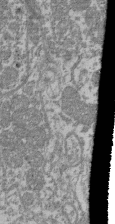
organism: Mouse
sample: Glomerulus